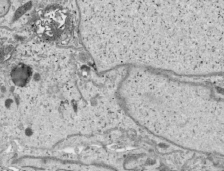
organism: Human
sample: Mitochondria in HCT116 cells